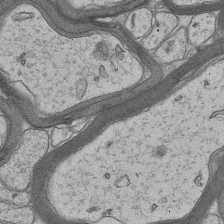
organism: Mouse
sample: CA1 Hippocampus